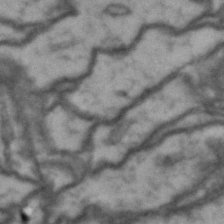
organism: Drosophila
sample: Brain